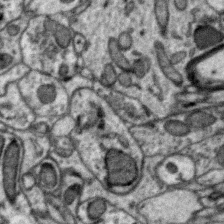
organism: Zebra finch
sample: Brain